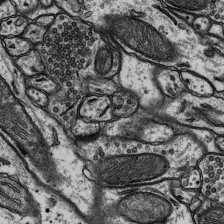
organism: Rat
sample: Hippocampus